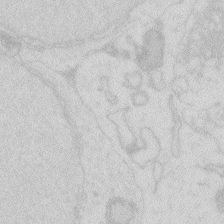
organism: Zebrafish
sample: Macrophage